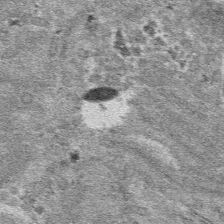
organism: Mouse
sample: Mouse hepatocytes